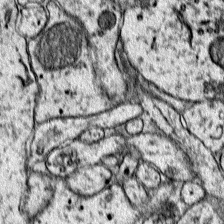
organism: Mouse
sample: Primary visual cortex